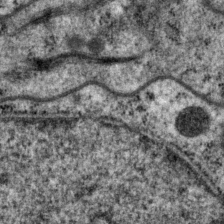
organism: P. pacificus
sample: Pharynx